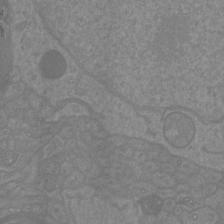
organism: Mouse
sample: Cortical neurons